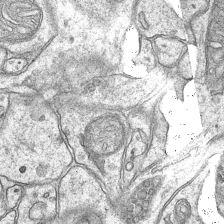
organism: Mouse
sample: CA1 Hippocampus